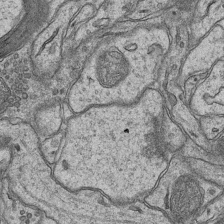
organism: Mouse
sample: CA1 Hippocampus